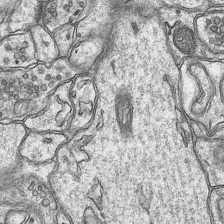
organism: Mouse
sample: CA1 Hippocampus